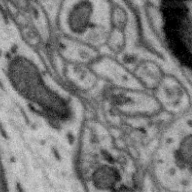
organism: Zebra finch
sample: Brain